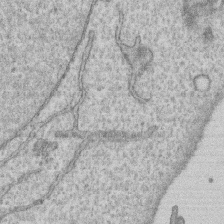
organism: Human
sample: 1205lu cells